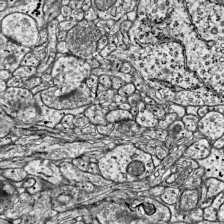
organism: Mouse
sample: Visual Cortex